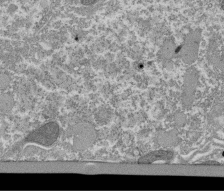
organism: Tetrahymena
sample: Cilia in tetrahymena